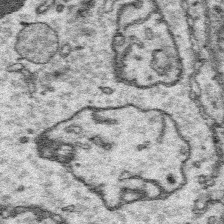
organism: Platynereis dumerilii